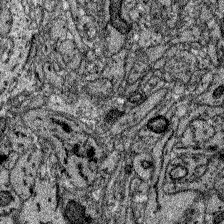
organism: Zebrafish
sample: Larval olfactory bulb